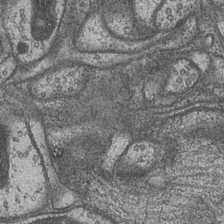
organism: Drosophila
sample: Optic medulla